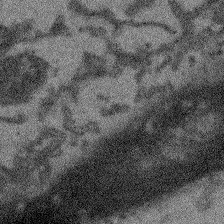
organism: Arabidopsis thaliana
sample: Root tip